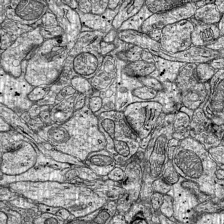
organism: Mouse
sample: Visual Cortex